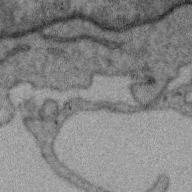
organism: Zebra finch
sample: Brain